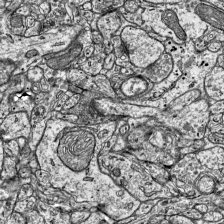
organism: Mouse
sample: Visual Cortex